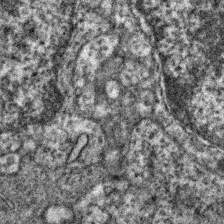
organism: Zebrafish